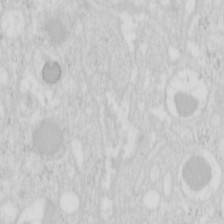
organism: Mouse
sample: Pancreas